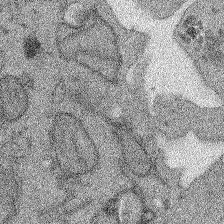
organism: Human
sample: HeLa cells